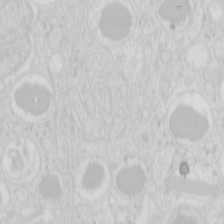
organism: Mouse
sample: Pancreas